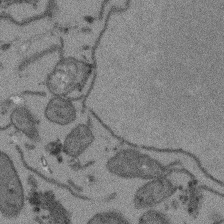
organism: Arabidopsis thaliana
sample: Root tip